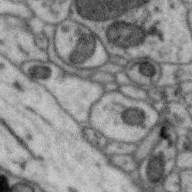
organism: Zebra finch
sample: Brain